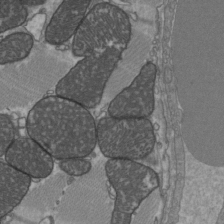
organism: C57BL Mouse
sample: Heart